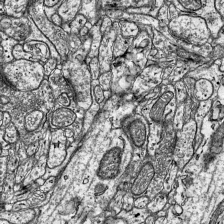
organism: Mouse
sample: Visual Cortex